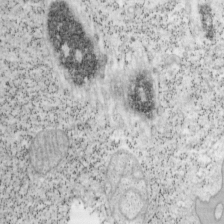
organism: Mouse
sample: OT-I killer T cells with ID8 ovarian cancer cells